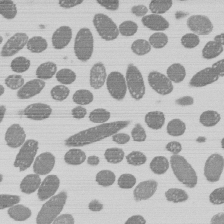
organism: E. coli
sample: Bacterial nucleoid